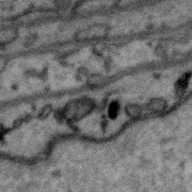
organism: Zebra finch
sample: Brain